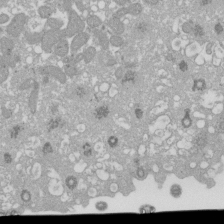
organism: Xenopus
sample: Cilia; centrioles in frog embryo cells